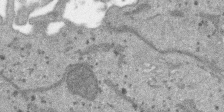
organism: Human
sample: Lung epithelial cells infected with SARS-CoV-2